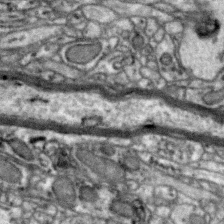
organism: Zebra finch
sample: Brain